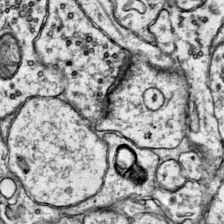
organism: Mouse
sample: Primary visual cortex